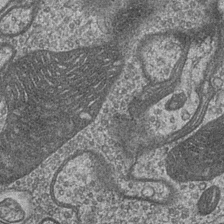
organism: Drosophila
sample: Optic medulla